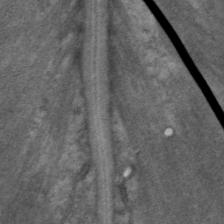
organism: C. elegans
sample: Pharynx